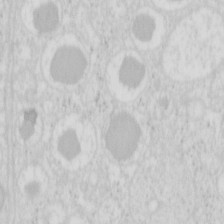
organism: Mouse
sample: Pancreas